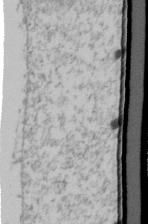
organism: Human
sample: U2-OS cells